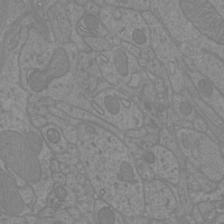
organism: Mouse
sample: Cortical neurons